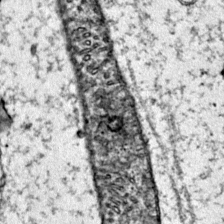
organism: Mouse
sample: Primary visual cortex